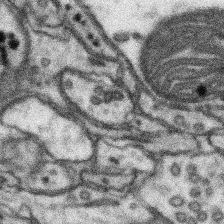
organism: Mouse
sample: Somatosensory cortex neuropil